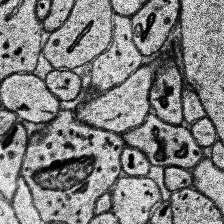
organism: Human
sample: Temporal Lobe